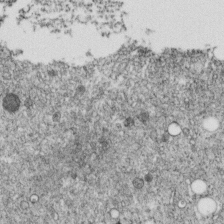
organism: C. elegans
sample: C. elegans embryo early stage